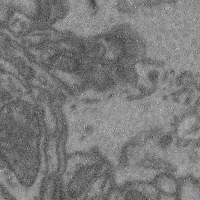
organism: Mouse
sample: Cerebral cortex